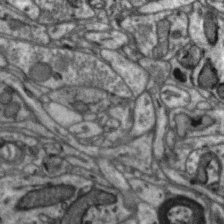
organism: Zebra finch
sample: Brain